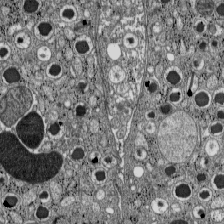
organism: C57BL Mouse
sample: Pancreatic islet